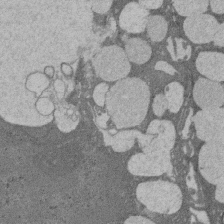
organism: Rat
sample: Salivary granule